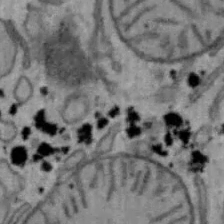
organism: Mouse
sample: Liver